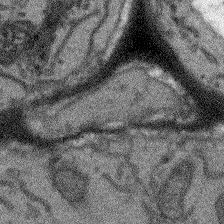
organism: Arabidopsis thaliana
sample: Root tip